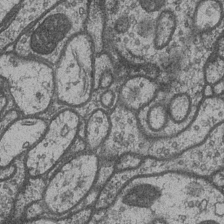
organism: Drosophila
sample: Optic medulla